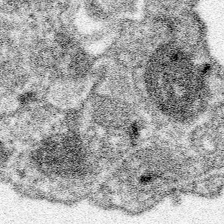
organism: Spongilla lacustris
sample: Neuroid cell